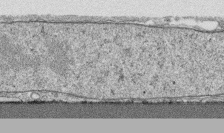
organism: Human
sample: CRL-1474